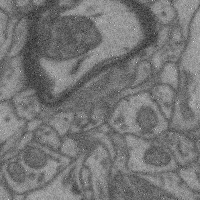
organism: Mouse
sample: Cerebral cortex